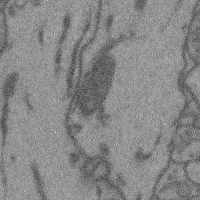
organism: Mouse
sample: Cerebral cortex